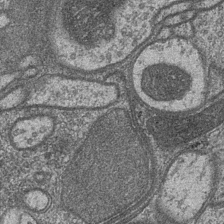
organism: Drosophila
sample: Optic medulla